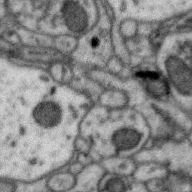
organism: Zebra finch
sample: Brain